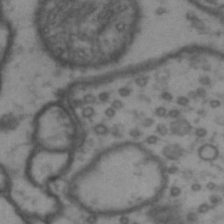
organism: Drosophila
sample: Brain